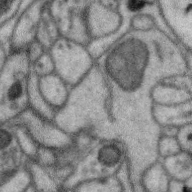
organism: Zebra finch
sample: Brain